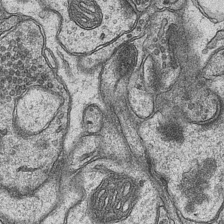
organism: Mouse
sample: CA1 Hippocampus